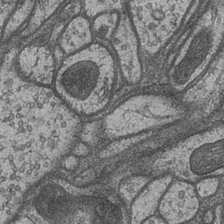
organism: Drosophila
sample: Optic medulla